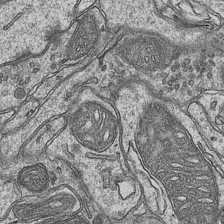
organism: Mouse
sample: CA1 Hippocampus